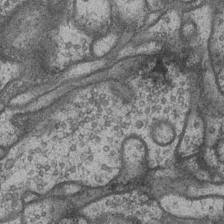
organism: Drosophila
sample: Optic medulla